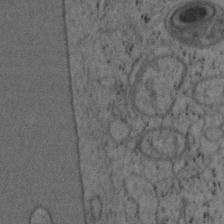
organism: Human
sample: HeLa cells